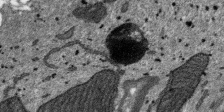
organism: Human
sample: Lung epithelial cells, uninfected (mock) control